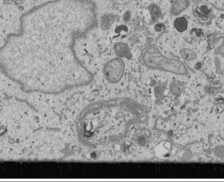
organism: Human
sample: Mitochondria in U2OS cells